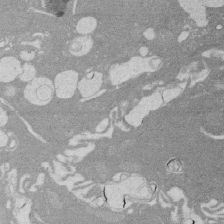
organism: Rat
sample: Salivary granule